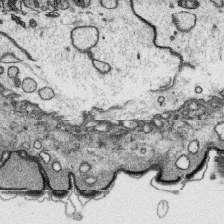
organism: Platynereis dumerilii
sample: Parapodia